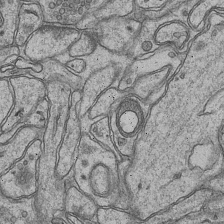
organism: Mouse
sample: CA1 Hippocampus